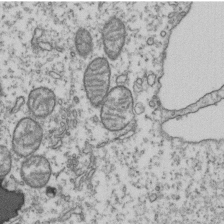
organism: Human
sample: Activated Jurkat CD4+ T cells